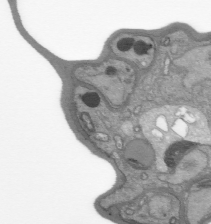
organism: Plasmodium falciparum